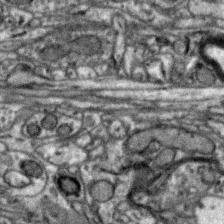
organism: Zebra finch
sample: Brain